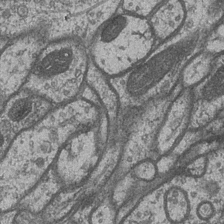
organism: Drosophila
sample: Optic medulla